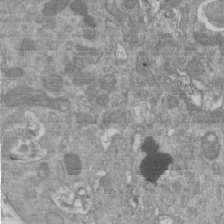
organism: Mouse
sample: ED-1 cell nuclei; centrioles